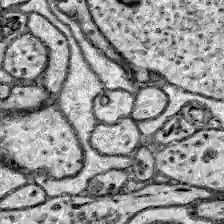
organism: Zebrafish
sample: Brain